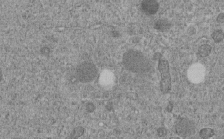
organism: C. elegans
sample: C. elegans embryo early stage